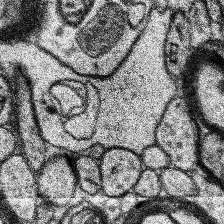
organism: Human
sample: Temporal Lobe